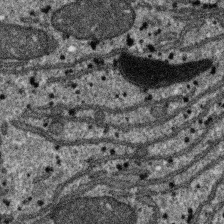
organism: Human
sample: Lung epithelial cells infected with SARS-CoV-2